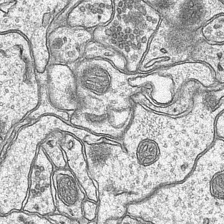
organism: Mouse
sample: CA1 Hippocampus